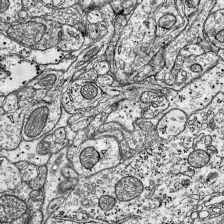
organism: Mouse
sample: Visual Cortex